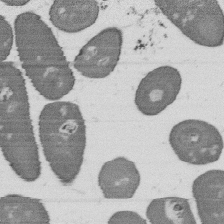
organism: B. subtilis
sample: Bacterial spore